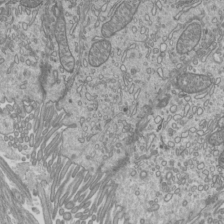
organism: Mouse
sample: Cilia; mouse epididymis